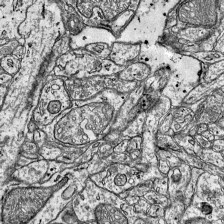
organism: Mouse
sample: Visual Cortex